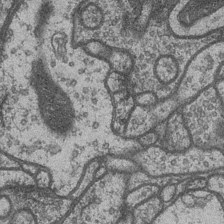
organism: Drosophila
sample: Optic medulla